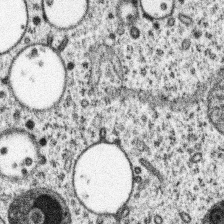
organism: Human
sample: HeLa cells